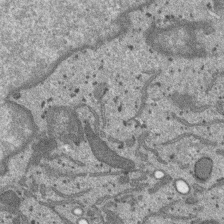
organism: Human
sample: Lung epithelial cells infected with SARS-CoV-2